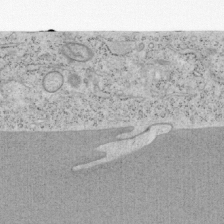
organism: Human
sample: HeLa cells